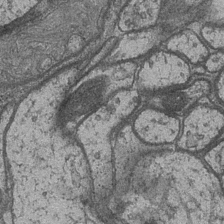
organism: Drosophila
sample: Optic medulla